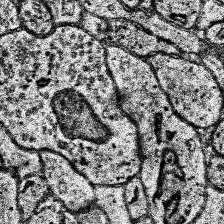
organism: Human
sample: Temporal Lobe